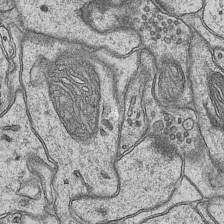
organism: Mouse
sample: CA1 Hippocampus